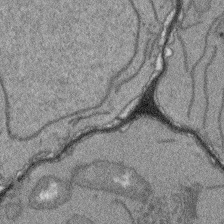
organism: Arabidopsis thaliana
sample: Root tip